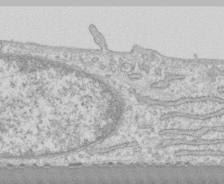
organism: Human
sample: CRL-1474